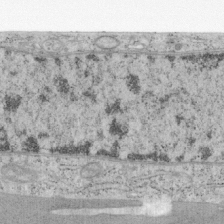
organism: Human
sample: HeLa cells